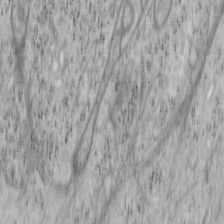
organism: Human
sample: HeLa cells